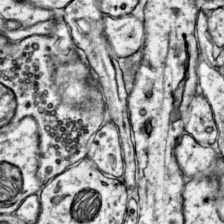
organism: Mouse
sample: Primary visual cortex